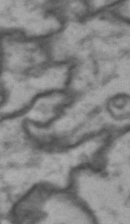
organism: Drosophila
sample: Brain